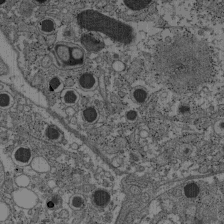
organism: C57BL Mouse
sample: Pancreatic islet